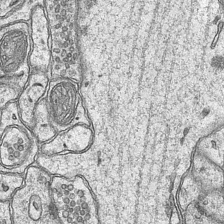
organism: Mouse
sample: CA1 Hippocampus